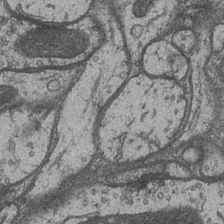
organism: Drosophila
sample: Optic medulla